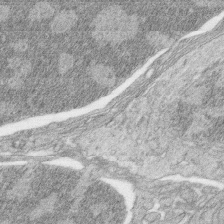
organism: Zebrafish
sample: synaptic ribbons in rod cells and cone cells